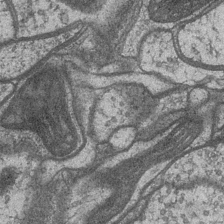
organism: Drosophila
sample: Optic medulla